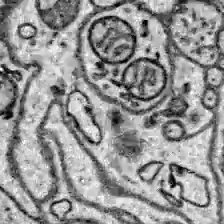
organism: Zebrafish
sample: Brain